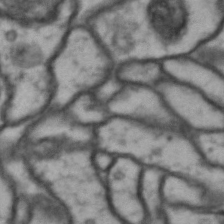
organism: Drosophila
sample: Brain